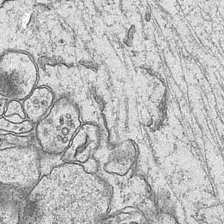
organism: Mouse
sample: CA1 Hippocampus